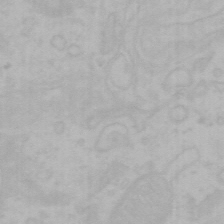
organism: Mouse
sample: Choroid plexus